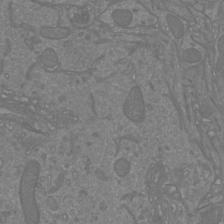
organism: Mouse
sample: Cortical neurons